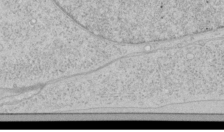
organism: Human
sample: Mitochondria in HCT116 cells